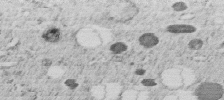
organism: C. elegans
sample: C. elegans embryo early stage